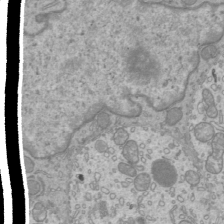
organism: Mouse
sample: Cilia; mouse epididymis